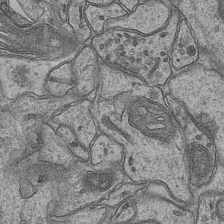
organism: Mouse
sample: CA1 Hippocampus